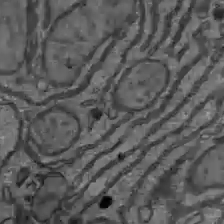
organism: C57BL Mouse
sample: Liver